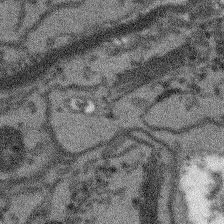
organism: Arabidopsis thaliana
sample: Root tip